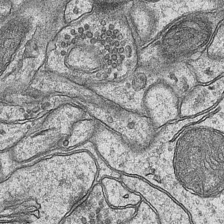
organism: Mouse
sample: CA1 Hippocampus